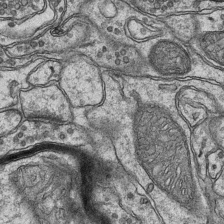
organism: Mouse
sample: CA1 Hippocampus